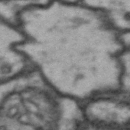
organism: Drosophila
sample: Brain